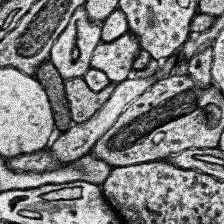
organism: Human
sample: Temporal Lobe